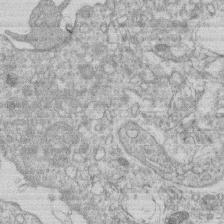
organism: Human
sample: Macrophage cells